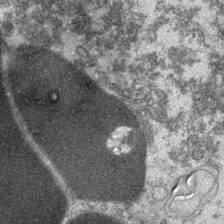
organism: Zebrafish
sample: Zebrafish embryo